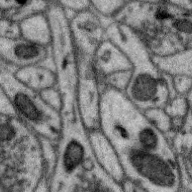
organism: Zebra finch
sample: Brain